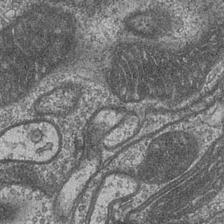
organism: Drosophila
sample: Optic medulla